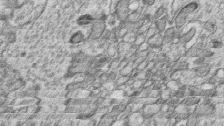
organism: Zebrafish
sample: synaptic ribbons in rod cells and cone cells